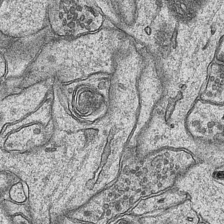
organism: Mouse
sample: CA1 Hippocampus